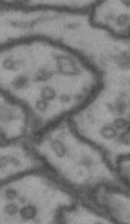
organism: Drosophila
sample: Brain